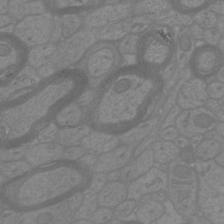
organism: Mouse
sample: Cortical neurons